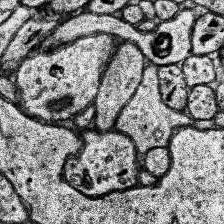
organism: Human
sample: Temporal Lobe